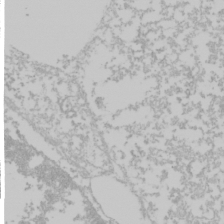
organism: Mouse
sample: Cancer cell death in ED-1 cells